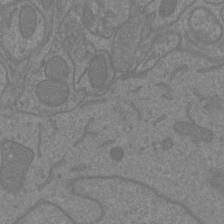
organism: Mouse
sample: Cortical neurons